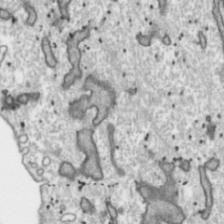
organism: Toxoplasma gondii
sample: Parasites in a vacuole inside a host cell